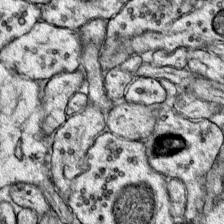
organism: Mouse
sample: Primary visual cortex